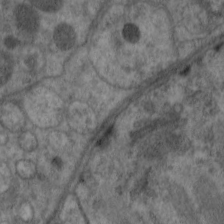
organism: C. elegans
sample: Pharynx